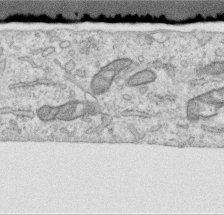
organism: Human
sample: Centriole in RPE cells